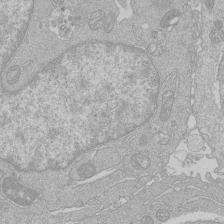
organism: Human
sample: Macrophage cells